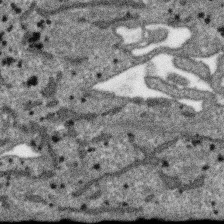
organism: Human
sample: Lung epithelial cells infected with SARS-CoV-2